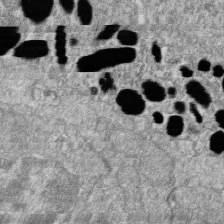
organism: Zebrafish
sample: Cilia; retinal pigment epithelium